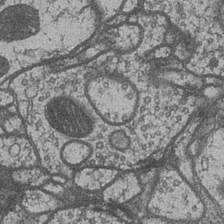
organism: Drosophila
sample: Optic medulla